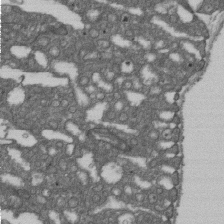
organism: Drosophila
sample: Nephrocyte